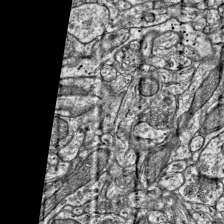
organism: Mouse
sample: Visual Cortex